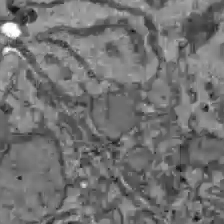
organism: C57BL Mouse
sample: Liver